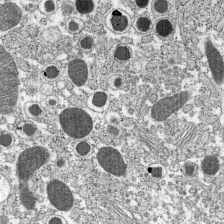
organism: C57BL Mouse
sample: Pancreatic islet